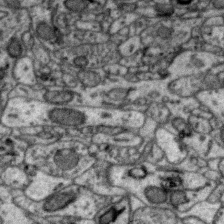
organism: Zebra finch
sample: Brain